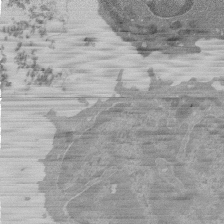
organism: Mouse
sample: Activated Pmel transgenic CD8+ T Cells